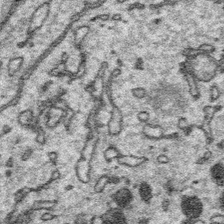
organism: Platynereis dumerilii